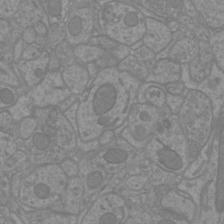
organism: Mouse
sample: Cortical neurons